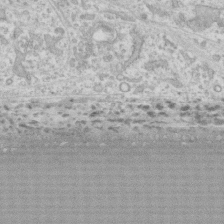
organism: Human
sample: CRL-1474